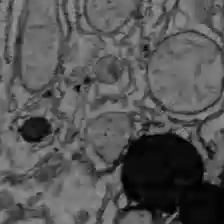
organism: C57BL Mouse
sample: Liver